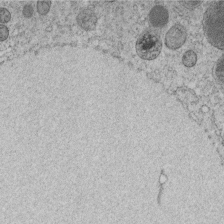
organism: C. elegans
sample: C. elegans embryo early stage